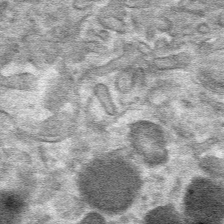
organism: Mouse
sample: Mouse hepatocytes